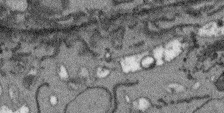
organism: Arabidopsis thaliana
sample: Root tip